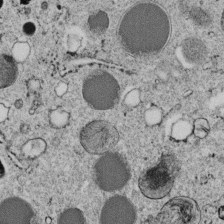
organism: C. elegans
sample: C. elegans embryo early stage